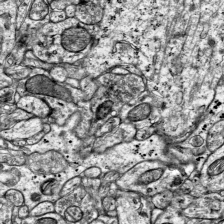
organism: Mouse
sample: Visual Cortex